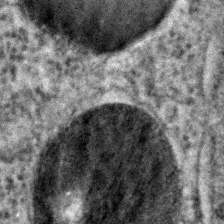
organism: C. elegans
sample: C. elegans embryo